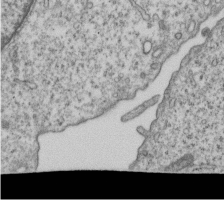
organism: Human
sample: MDA-MB-231 cells